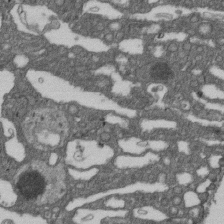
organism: Drosophila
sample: Nephrocyte